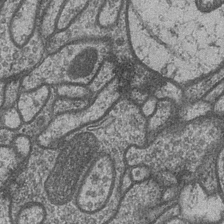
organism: Drosophila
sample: Optic medulla